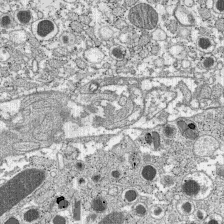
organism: C57BL Mouse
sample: Pancreatic islet